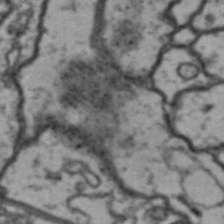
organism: Drosophila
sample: Brain